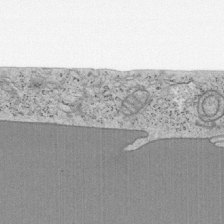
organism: Human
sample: HeLa cells